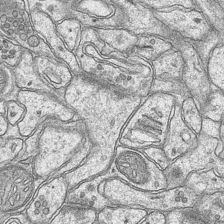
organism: Mouse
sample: CA1 Hippocampus